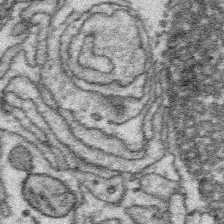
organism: Platynereis dumerilii